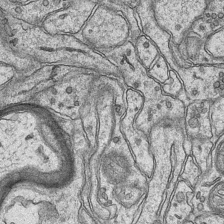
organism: Mouse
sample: CA1 Hippocampus